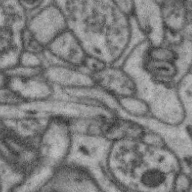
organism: Zebra finch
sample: Brain